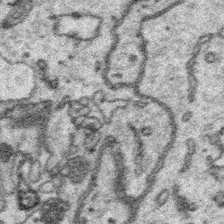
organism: Platynereis dumerilii